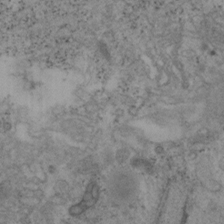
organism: Mouse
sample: OT-I killer T cells with ID8 ovarian cancer cells